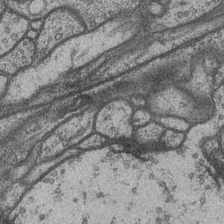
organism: Drosophila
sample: Optic medulla